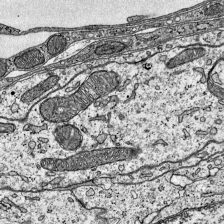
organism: Mouse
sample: Visual Cortex